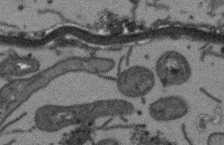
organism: Arabidopsis thaliana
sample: Root tip